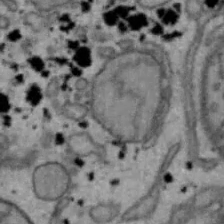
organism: Mouse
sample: Liver